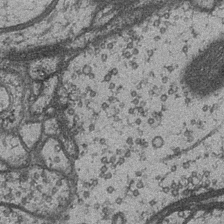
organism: Drosophila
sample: Optic medulla